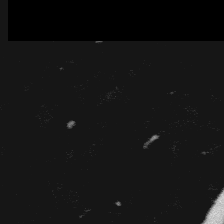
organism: Platynereis dumerilii